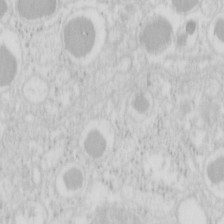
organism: Mouse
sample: Pancreas